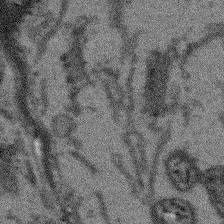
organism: Arabidopsis thaliana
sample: Root tip